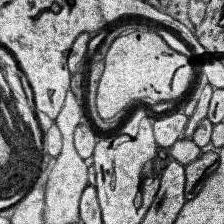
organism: Human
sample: Temporal Lobe